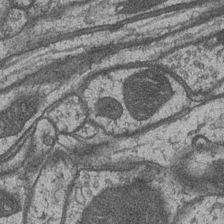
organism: Drosophila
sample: Optic medulla